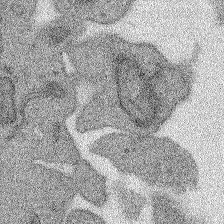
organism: Human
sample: HeLa cells